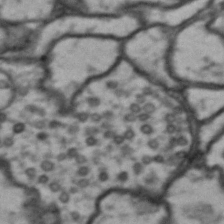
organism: Drosophila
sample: Brain